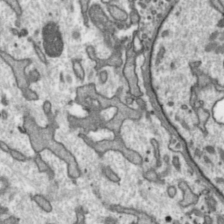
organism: Toxoplasma gondii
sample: Parasites in a vacuole inside a host cell